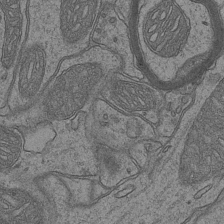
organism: Mouse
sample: CA1 Hippocampus